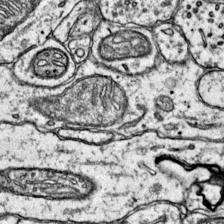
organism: Mouse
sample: Primary visual cortex